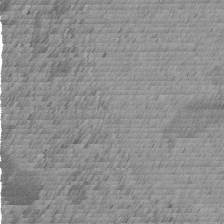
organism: C. elegans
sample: C. elegans embryo early stage